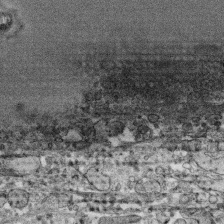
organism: Human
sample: CRL-1474